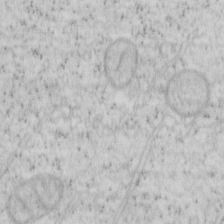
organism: Human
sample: HeLa cells